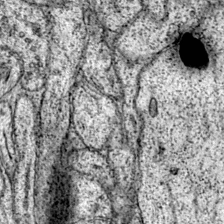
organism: Mouse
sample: Primary visual cortex